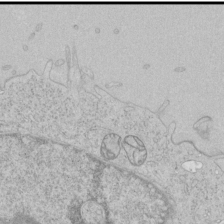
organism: Human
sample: Mitochondria in HCT116 cells